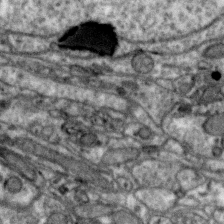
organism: Zebra finch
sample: Brain